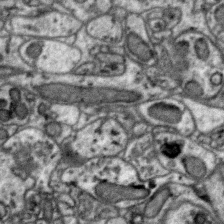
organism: Zebra finch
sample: Brain